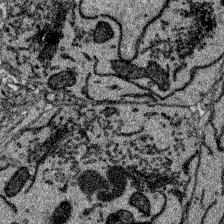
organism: Zebrafish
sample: Larval olfactory bulb